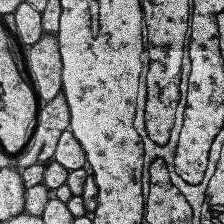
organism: Human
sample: Temporal Lobe